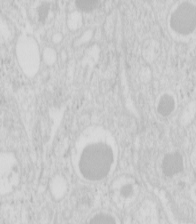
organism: Mouse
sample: Pancreas